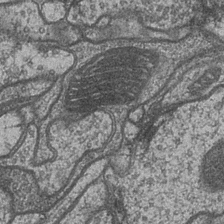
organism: Drosophila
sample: Optic medulla